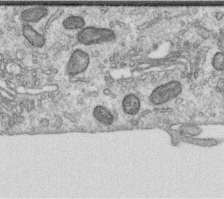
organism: Human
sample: Centriole in RPE cells